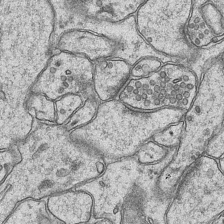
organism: Mouse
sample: CA1 Hippocampus